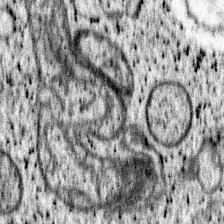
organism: Human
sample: HeLa cells